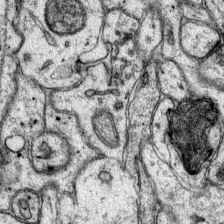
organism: Mouse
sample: Primary visual cortex